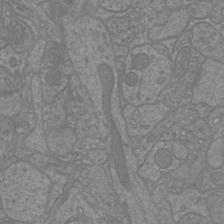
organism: Mouse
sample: Cortical neurons